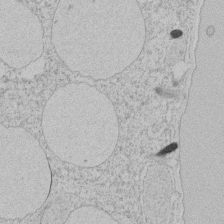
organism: Tetrahymena